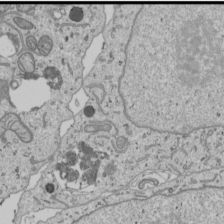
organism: Human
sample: Mitochondria in U2OS cells